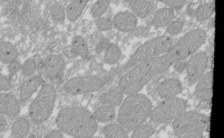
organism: Xenopus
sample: Cilia; centrioles in frog embryo cells